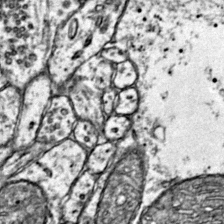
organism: Mouse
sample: Primary visual cortex